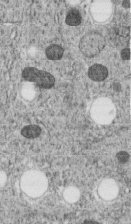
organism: C. elegans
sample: C. elegans embryo early stage